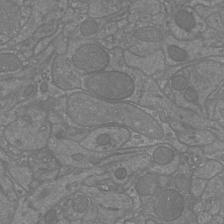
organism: Mouse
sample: Cortical neurons